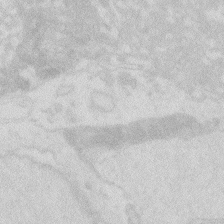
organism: Zebrafish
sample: Macrophage